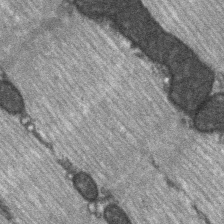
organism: C57BL Mouse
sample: Soleus